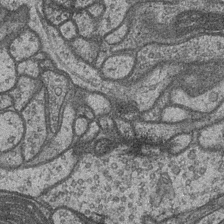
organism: Drosophila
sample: Optic medulla